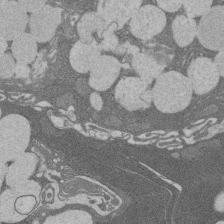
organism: Rat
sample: Salivary granule